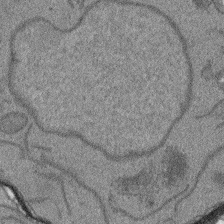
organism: Arabidopsis thaliana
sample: Root tip